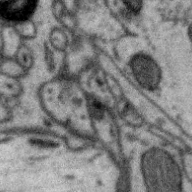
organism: Zebra finch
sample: Brain